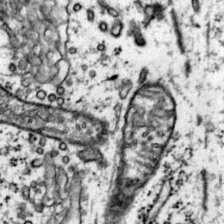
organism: Mouse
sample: Primary visual cortex